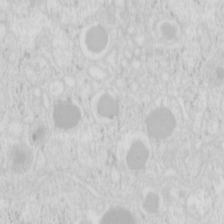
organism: Mouse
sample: Pancreas